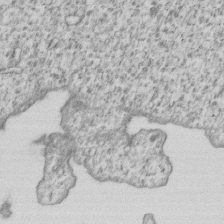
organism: Human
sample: MDA-MB-231 cells